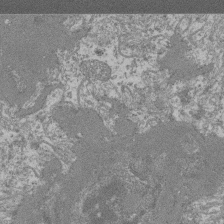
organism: Mouse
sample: Glomerulus